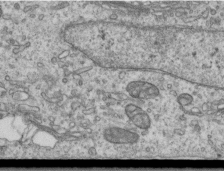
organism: Human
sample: Centriole in RPE cells